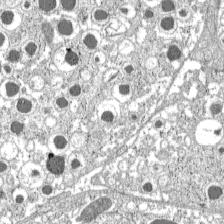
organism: C57BL Mouse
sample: Pancreatic islet